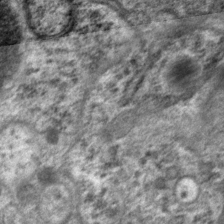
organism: P. pacificus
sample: Pharynx